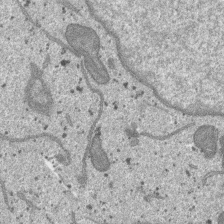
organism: Human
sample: Lung epithelial cells infected with SARS-CoV-2